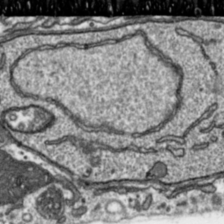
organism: Toxoplasma gondii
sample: Parasites in a vacuole inside a host cell